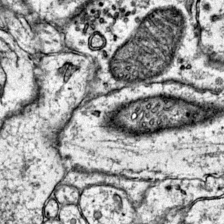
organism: Mouse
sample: Primary visual cortex